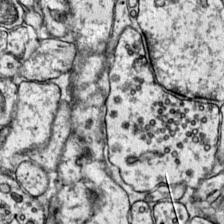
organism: Mouse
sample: Primary visual cortex